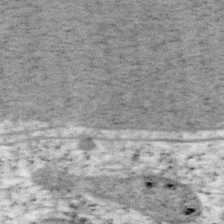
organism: Mouse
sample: OT-I killer T cells with ID8 ovarian cancer cells